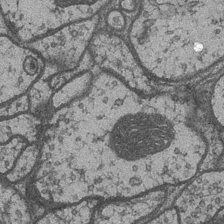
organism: Drosophila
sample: Optic medulla